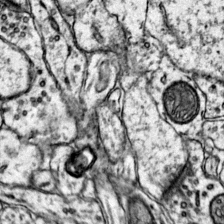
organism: Mouse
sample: Primary visual cortex